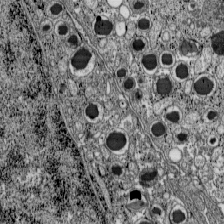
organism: C57BL Mouse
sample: Pancreatic islet